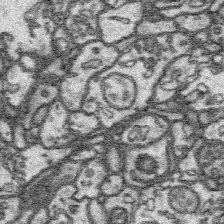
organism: Platynereis dumerilii